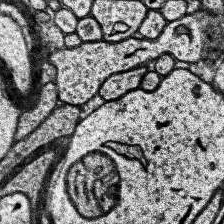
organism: Human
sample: Temporal Lobe